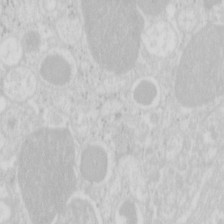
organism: Mouse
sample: Pancreas